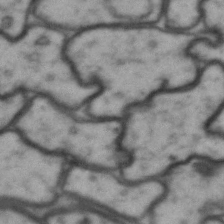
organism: Drosophila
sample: Brain